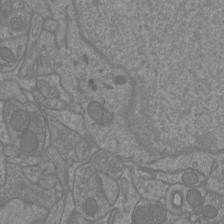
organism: Mouse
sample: Cortical neurons